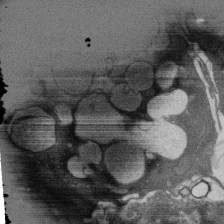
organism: Rat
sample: Salivary granule